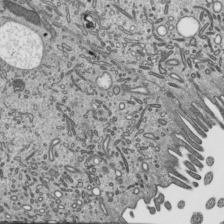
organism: Mouse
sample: Mouse epididymis efferent ductule cilia